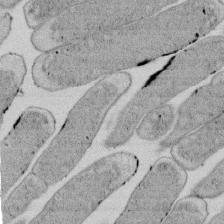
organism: E. coli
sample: Bacterial nucleoid